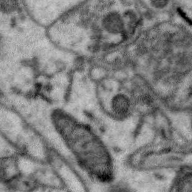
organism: Zebra finch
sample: Brain